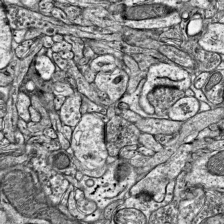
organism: Mouse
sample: Visual Cortex